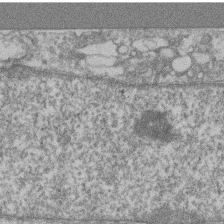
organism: Mouse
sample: T cell stromal cell synapse